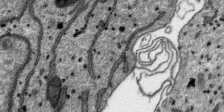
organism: Human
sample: Lung epithelial cells, uninfected (mock) control